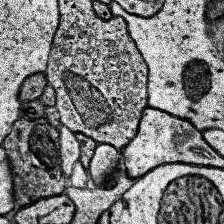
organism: Human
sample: Temporal Lobe